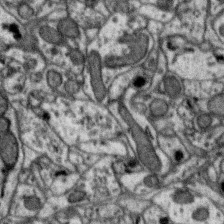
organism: Zebra finch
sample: Brain